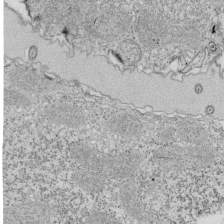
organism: Tetrahymena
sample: Cilia in tetrahymena